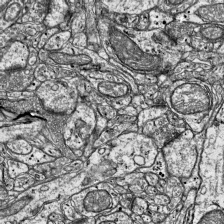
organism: Mouse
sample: Visual Cortex